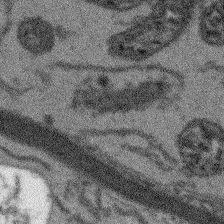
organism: Arabidopsis thaliana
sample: Root tip